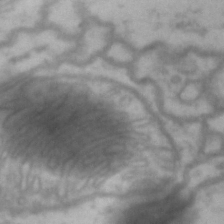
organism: Drosophila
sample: Brain